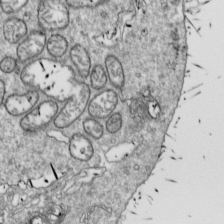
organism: Drosophila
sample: Cell division; meiosis; drosophila spermatocytes